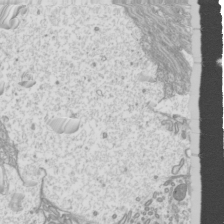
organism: Mouse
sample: Cilia; mouse epididymis